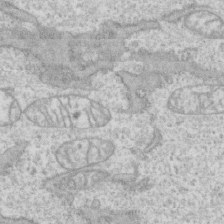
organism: Human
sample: CRL-1474